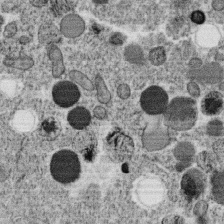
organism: C. elegans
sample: C. elegans oocyte; sperm cells